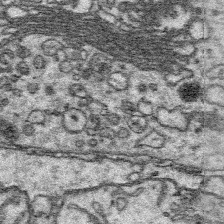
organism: Platynereis dumerilii